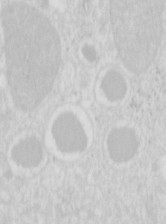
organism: Mouse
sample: Pancreas